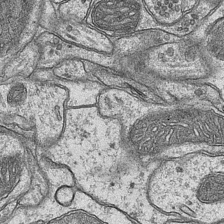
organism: Mouse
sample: CA1 Hippocampus